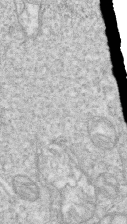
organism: Human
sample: HeLa cell HIV synapse